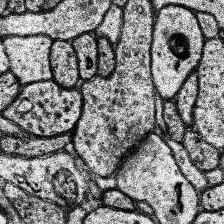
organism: Human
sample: Temporal Lobe